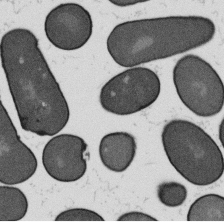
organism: B. subtilis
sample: Bacterial spore